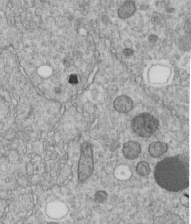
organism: C. elegans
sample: C. elegans embryo early stage